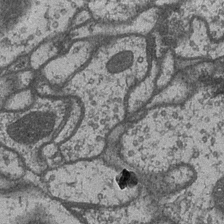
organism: Drosophila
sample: Optic medulla